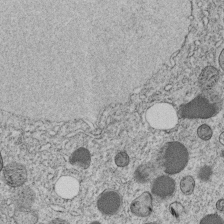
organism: C. elegans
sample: C. elegans embryo early stage